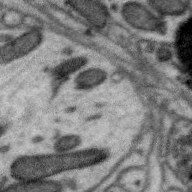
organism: Zebra finch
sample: Brain